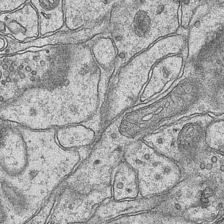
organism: Mouse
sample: CA1 Hippocampus